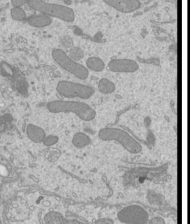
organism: Mouse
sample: Cilia; mouse epididymis